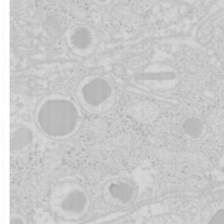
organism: Mouse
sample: Pancreas